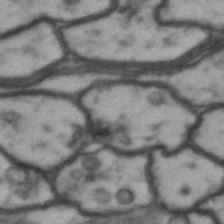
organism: Drosophila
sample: Brain